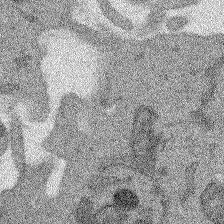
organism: Human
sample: HeLa cells